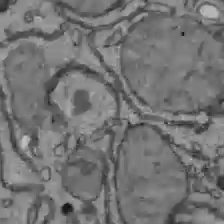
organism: C57BL Mouse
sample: Liver